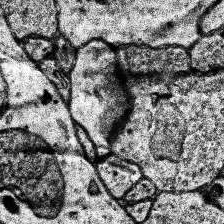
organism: Human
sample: Temporal Lobe